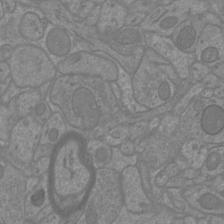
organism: Mouse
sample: Cortical neurons